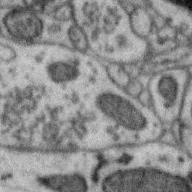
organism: Zebra finch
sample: Brain